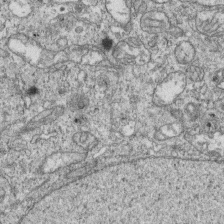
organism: Human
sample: HeLa cell HIV synapse